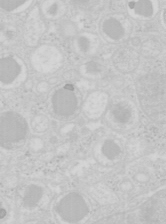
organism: Mouse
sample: Pancreas